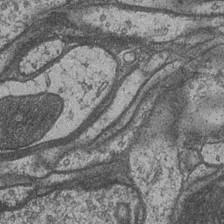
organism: Drosophila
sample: Optic medulla